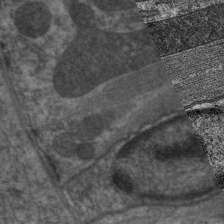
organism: C. elegans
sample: Pharynx